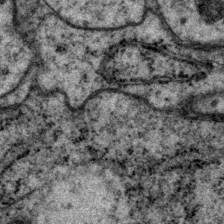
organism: P. pacificus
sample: Pharynx